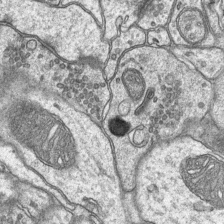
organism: Mouse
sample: CA1 Hippocampus